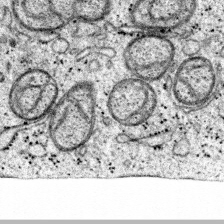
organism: Human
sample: HeLa cells